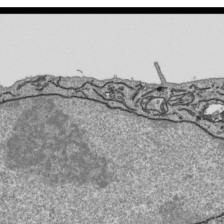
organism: Human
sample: Mitochondria in HCT116 cells